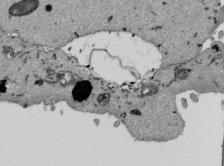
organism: Mouse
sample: ED-1 cell nuclei; centrioles